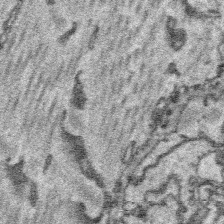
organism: Platynereis dumerilii